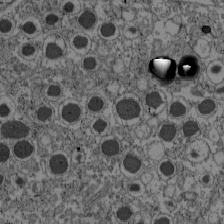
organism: C57BL Mouse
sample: Pancreatic islet